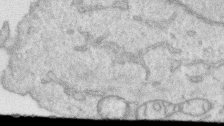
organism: Human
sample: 1205lu cells